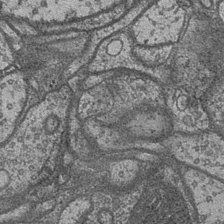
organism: Drosophila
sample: Optic medulla